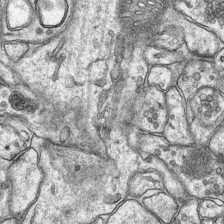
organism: Mouse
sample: CA1 Hippocampus